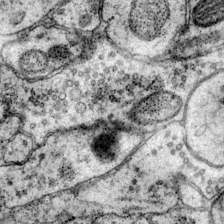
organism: Mouse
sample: Primary visual cortex